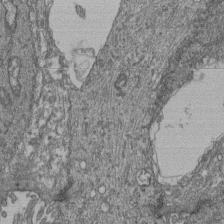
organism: Human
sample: Retinal organoid Rod and Cone cells